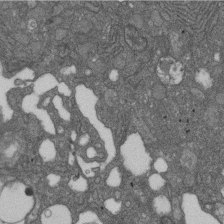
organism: Drosophila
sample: Nephrocyte